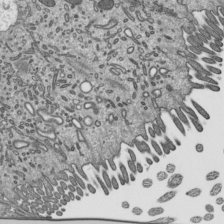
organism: Mouse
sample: Mouse epididymis efferent ductule cilia